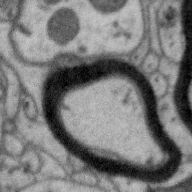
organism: Zebra finch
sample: Brain